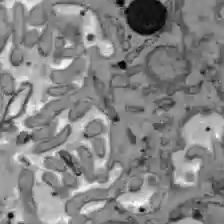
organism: C57BL Mouse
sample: Liver